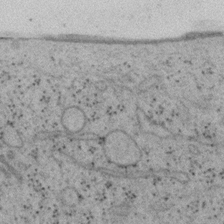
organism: Human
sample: HeLa cells